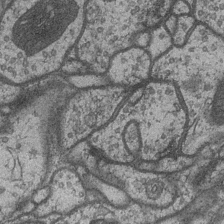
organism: Drosophila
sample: Optic medulla